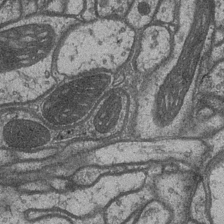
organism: Drosophila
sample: Optic medulla